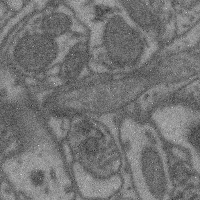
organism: Mouse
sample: Cerebral cortex